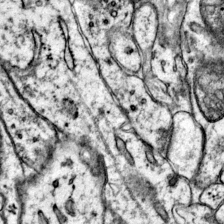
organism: Mouse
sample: Primary visual cortex